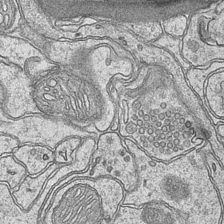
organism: Mouse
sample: CA1 Hippocampus